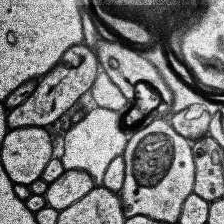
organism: Human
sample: Temporal Lobe